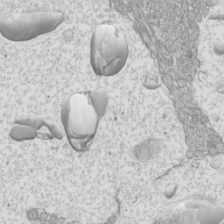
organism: Mouse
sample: Cilia; mouse epididymis